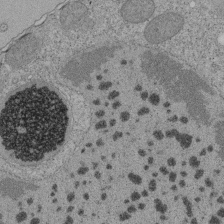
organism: Tetrahymena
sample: Cilia in tetrahymena